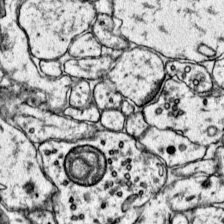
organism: Mouse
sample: Primary visual cortex